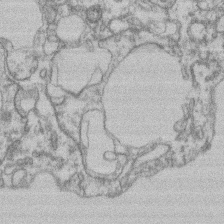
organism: Mouse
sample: T cell stromal cell synapse